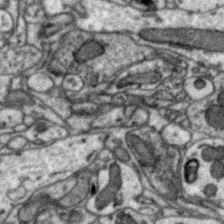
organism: Zebra finch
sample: Brain